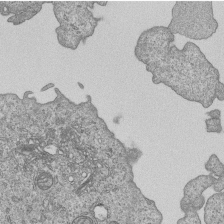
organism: Human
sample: MDA-MB-231 cells